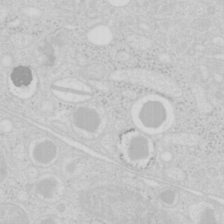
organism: Mouse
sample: Pancreas